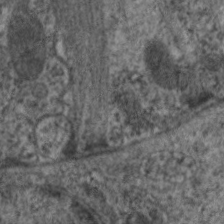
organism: C. elegans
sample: Pharynx